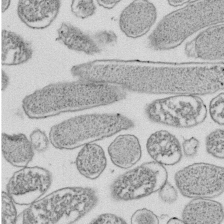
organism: E. coli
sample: Bacterial nucleoid